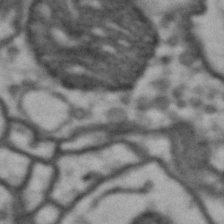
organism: Drosophila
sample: Brain